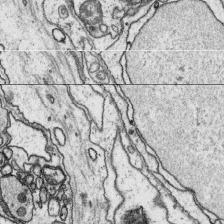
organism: Platynereis dumerilii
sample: Parapodia